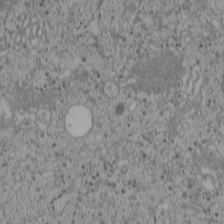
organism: African green monkey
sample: COS-7 cells